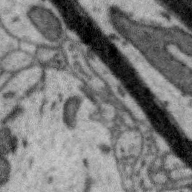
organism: Zebra finch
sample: Brain